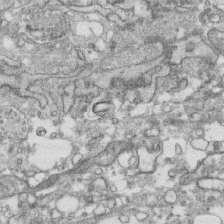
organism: Human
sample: CRL-1474